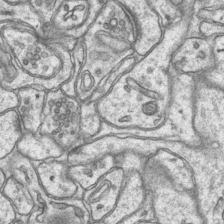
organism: Mouse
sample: CA1 Hippocampus